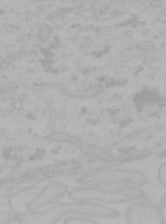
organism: Mouse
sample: Choroid plexus